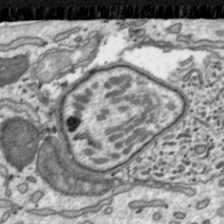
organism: Toxoplasma gondii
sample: Parasites in a vacuole inside a host cell